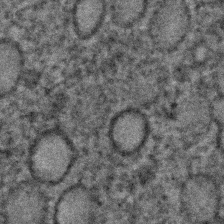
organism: C. elegans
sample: C. elegans embryo